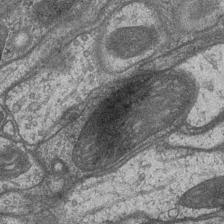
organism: Drosophila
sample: Optic medulla